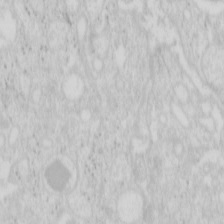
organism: Mouse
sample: Pancreas